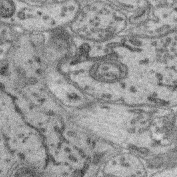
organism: Mouse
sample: Retina